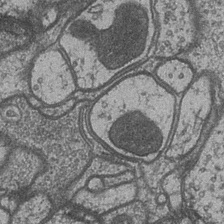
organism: Drosophila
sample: Optic medulla